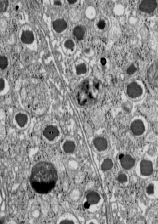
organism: C57BL Mouse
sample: Pancreatic islet